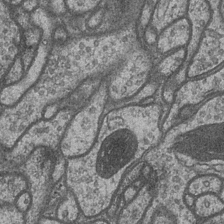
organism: Drosophila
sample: Optic medulla